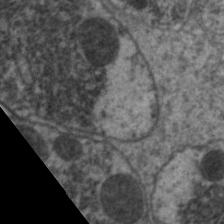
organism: C. elegans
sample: Pharynx